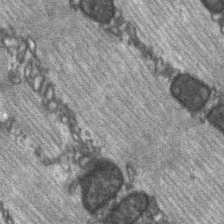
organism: C57BL Mouse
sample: Soleus